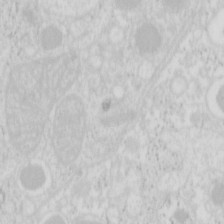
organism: Mouse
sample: Pancreas